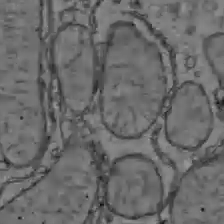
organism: C57BL Mouse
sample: Liver